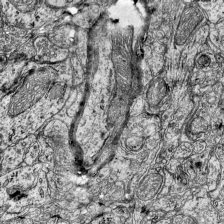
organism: Mouse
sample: Visual Cortex